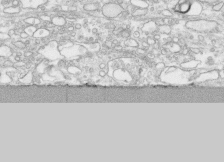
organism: Human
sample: CRL-1474